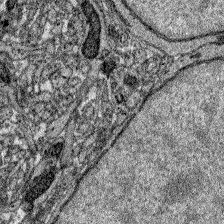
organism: Zebrafish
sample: Larval olfactory bulb